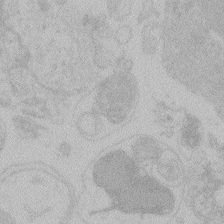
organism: Zebrafish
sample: Macrophage infected with Toxoplasma gondii